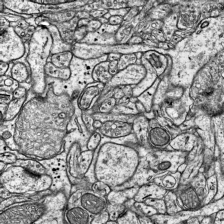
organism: Mouse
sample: Visual Cortex